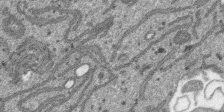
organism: Human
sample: Lung epithelial cells infected with SARS-CoV-2